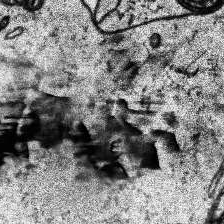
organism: Human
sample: Temporal Lobe